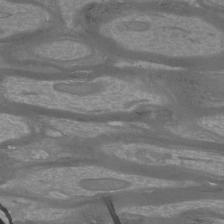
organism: Mouse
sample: Cortical neurons